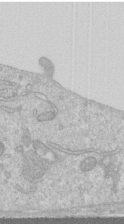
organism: Human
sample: Centriole in RPE cells